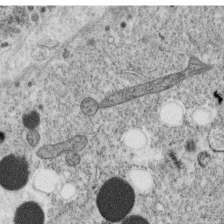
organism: C. elegans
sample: C. elegans oocyte; sperm cells